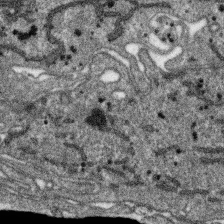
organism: Human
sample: Lung epithelial cells infected with SARS-CoV-2